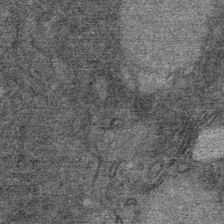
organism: Mouse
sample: Mouse Salivary gland